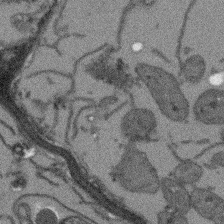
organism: Arabidopsis thaliana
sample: Root tip